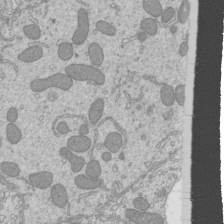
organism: Mouse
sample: Cilia; mouse epididymis